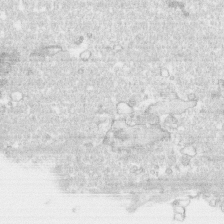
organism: Human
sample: CRL-1474